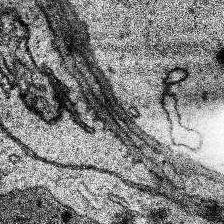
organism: Human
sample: Temporal Lobe